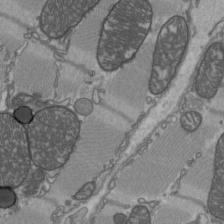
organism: C57BL Mouse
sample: Heart